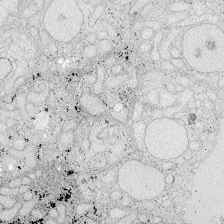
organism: Zebrafish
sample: Whole-Brain